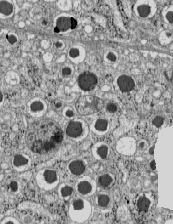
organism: C57BL Mouse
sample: Pancreatic islet